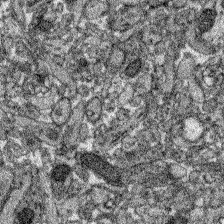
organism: Zebrafish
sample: Larval olfactory bulb